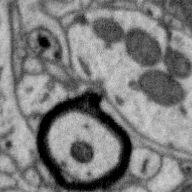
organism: Zebra finch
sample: Brain